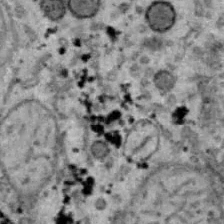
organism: Mouse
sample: Liver from an obese (ob/ob) mouse